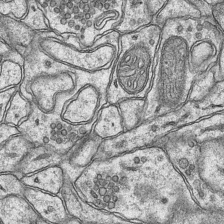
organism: Mouse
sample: CA1 Hippocampus